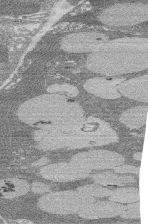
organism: Rat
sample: Salivary granule